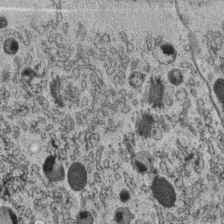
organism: C. elegans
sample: C. elegans oocyte; sperm cells